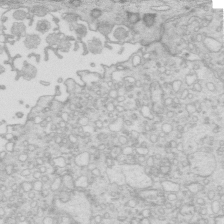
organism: Mouse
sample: Multiciliated cells